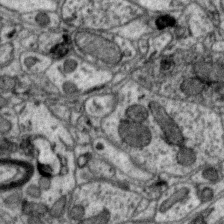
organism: Zebra finch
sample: Brain